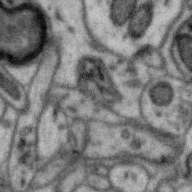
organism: Zebra finch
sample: Brain